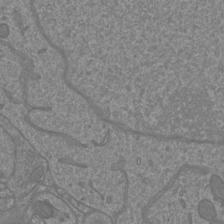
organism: Mouse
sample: Cortical neurons